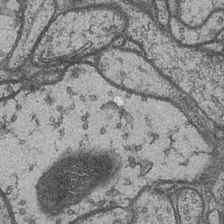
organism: Drosophila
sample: Optic medulla